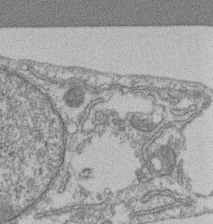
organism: Mouse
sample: T cell stromal cell synapse